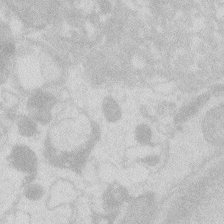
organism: Zebrafish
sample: Macrophage